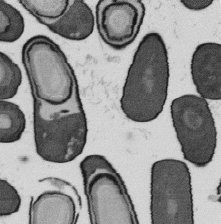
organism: B. subtilis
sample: Bacterial spore